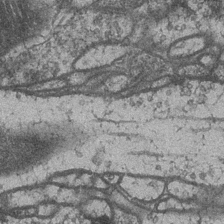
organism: Drosophila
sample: Optic medulla